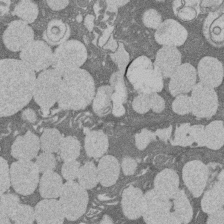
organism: Rat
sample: Salivary granule